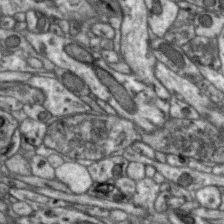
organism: Zebra finch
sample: Brain